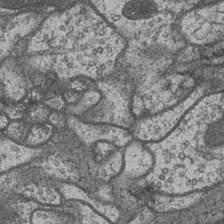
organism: Drosophila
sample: Optic medulla